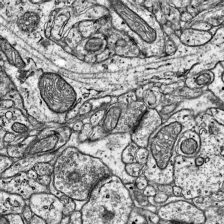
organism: Mouse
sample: Visual Cortex